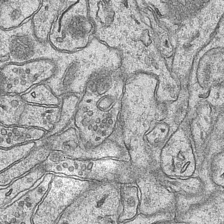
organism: Mouse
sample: CA1 Hippocampus